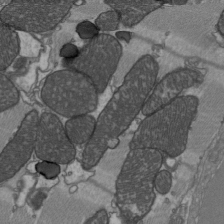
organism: C57BL Mouse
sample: Heart